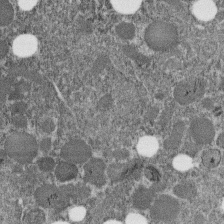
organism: C. elegans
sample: C. elegans embryo early stage